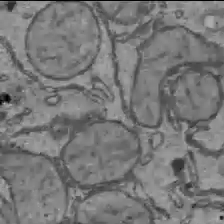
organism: C57BL Mouse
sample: Liver